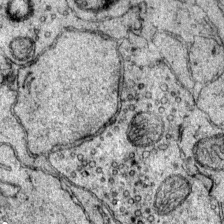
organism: Mouse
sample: Primary visual cortex